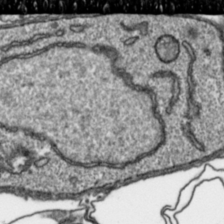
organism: Toxoplasma gondii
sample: Parasites in a vacuole inside a host cell